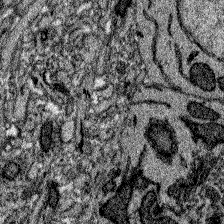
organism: Zebrafish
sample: Larval olfactory bulb